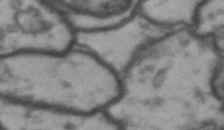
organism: Drosophila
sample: Brain